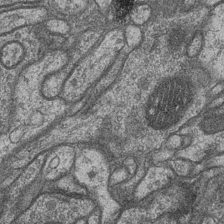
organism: Drosophila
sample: Optic medulla